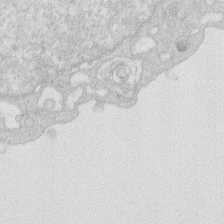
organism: Human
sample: Macrophage cells